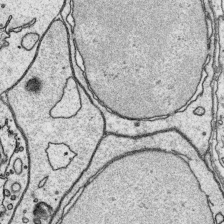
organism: Platynereis dumerilii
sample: Parapodia